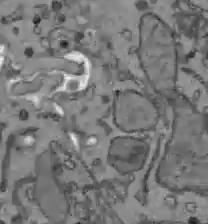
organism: C57BL Mouse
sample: Liver